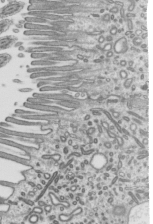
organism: Mouse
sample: Mouse epididymis efferent ductule cilia